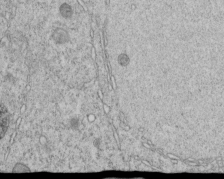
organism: C. elegans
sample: C. elegans embryo early stage